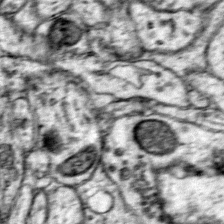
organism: Mouse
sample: Primary visual cortex